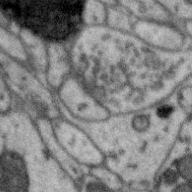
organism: Zebra finch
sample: Brain